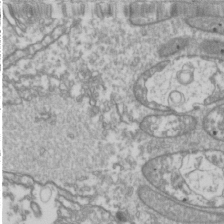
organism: Drosophila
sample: Cell division; meiosis; drosophila spermatocytes